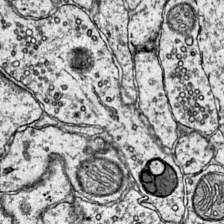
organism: Mouse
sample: Primary visual cortex